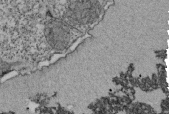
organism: Tetrahymena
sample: Cilia in tetrahymena